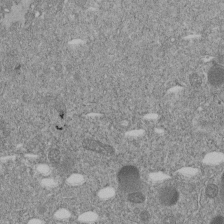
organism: C. elegans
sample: C. elegans embryo early stage